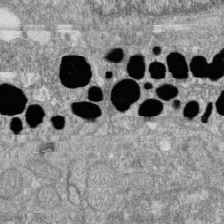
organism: Zebrafish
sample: Cilia; retinal pigment epithelium